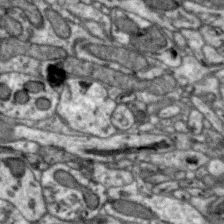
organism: Zebra finch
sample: Brain